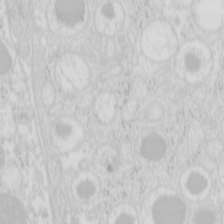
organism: Mouse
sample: Pancreas